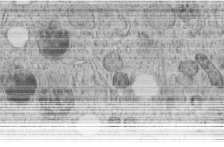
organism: C. elegans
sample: C. elegans embryo early stage